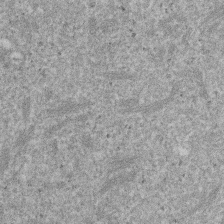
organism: Mouse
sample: Dividing mouse embryo 1 cell stage